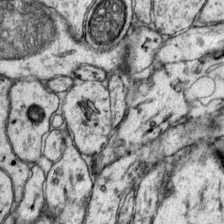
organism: Mouse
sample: Primary visual cortex